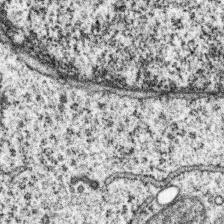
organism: Human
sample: HeLa cells